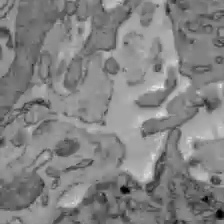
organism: C57BL Mouse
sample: Liver